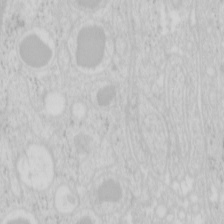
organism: Mouse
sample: Pancreas